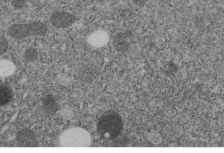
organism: C. elegans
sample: C. elegans embryo early stage